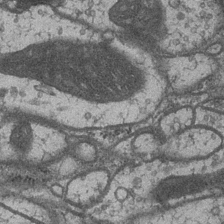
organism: Drosophila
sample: Optic medulla